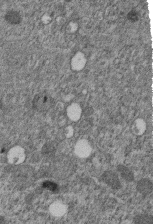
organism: C. elegans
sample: C. elegans embryo early stage